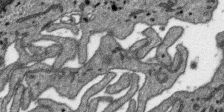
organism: Human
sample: Lung epithelial cells, uninfected (mock) control